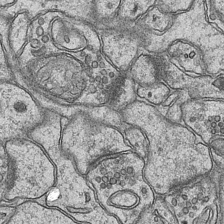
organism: Mouse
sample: CA1 Hippocampus